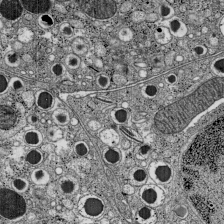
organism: C57BL Mouse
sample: Pancreatic islet